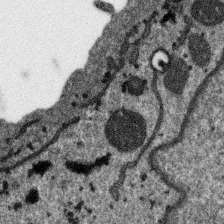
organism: Human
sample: Lung epithelial cells infected with SARS-CoV-2